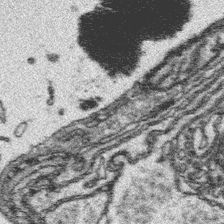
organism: Platynereis dumerilii